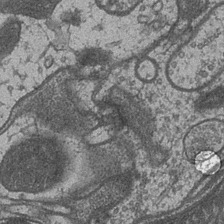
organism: Drosophila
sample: Optic medulla